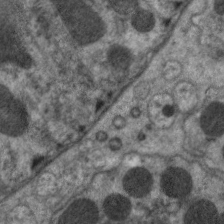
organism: C. elegans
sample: Pharynx